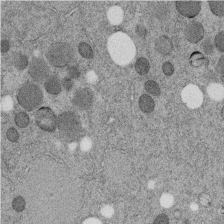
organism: C. elegans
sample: C. elegans embryo early stage